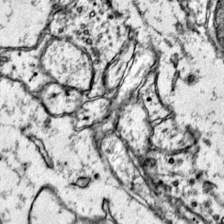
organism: Mouse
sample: Primary visual cortex